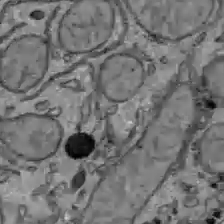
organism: C57BL Mouse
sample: Liver